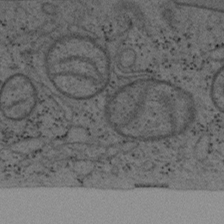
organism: Human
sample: HeLa cells